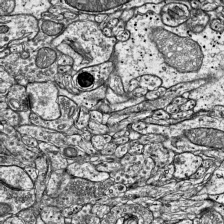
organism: Mouse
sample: Visual Cortex